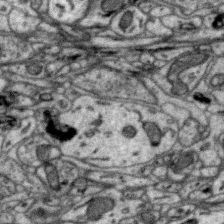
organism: Zebra finch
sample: Brain